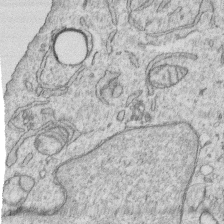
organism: Human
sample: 1205lu cells